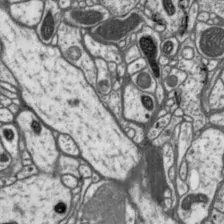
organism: Drosophila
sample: Protocerebral bridge